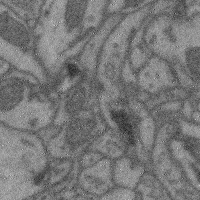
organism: Mouse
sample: Cerebral cortex